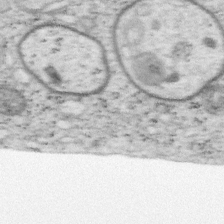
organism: Mouse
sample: OT-I killer T cells with ID8 ovarian cancer cells